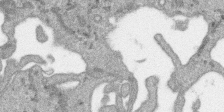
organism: Human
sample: Lung epithelial cells infected with SARS-CoV-2